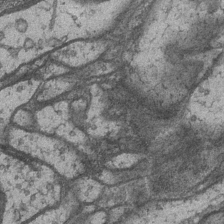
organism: Drosophila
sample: Optic medulla